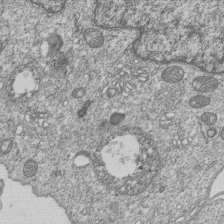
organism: Human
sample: MDA-MB-231 cells